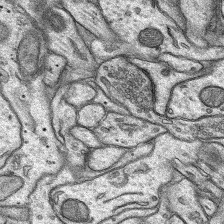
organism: Rat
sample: Hippocampus